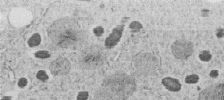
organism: C. elegans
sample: C. elegans embryo early stage